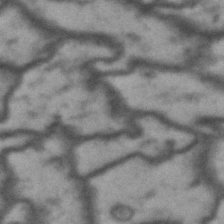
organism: Drosophila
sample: Brain